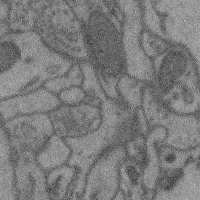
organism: Mouse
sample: Cerebral cortex